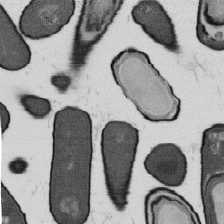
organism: B. subtilis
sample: Bacterial spore